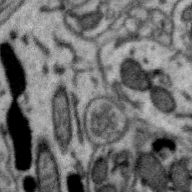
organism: Zebra finch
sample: Brain